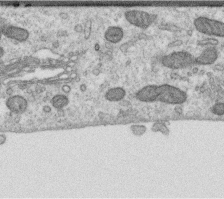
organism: Human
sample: Centriole in RPE cells